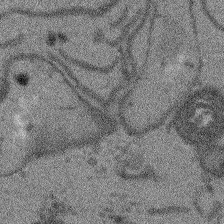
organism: Arabidopsis thaliana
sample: Root tip